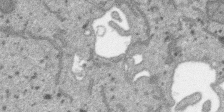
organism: Human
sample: Lung epithelial cells infected with SARS-CoV-2